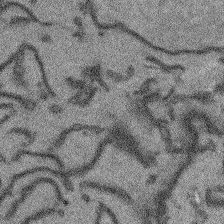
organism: Arabidopsis thaliana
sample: Root tip